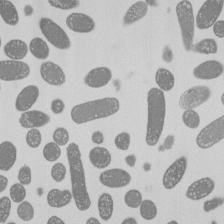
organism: E. coli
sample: Bacterial nucleoid